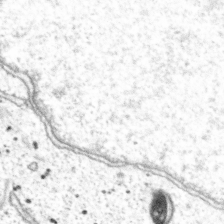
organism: Human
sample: HeLa cells